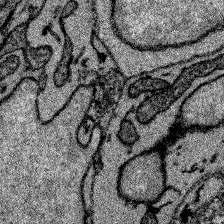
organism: Zebrafish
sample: Larval olfactory bulb